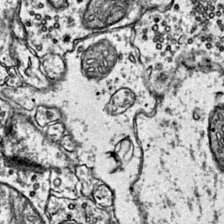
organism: Mouse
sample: Primary visual cortex